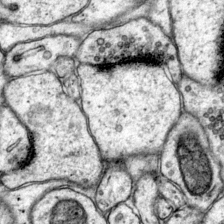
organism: Mouse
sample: Primary visual cortex